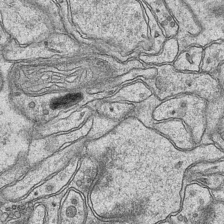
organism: Mouse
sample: CA1 Hippocampus